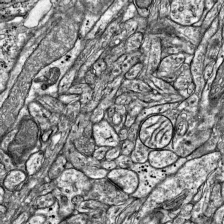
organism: Mouse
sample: Visual Cortex